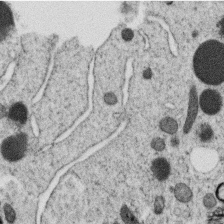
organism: C. elegans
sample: C. elegans oocyte; sperm cells